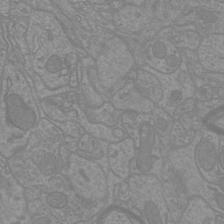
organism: Mouse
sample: Cortical neurons